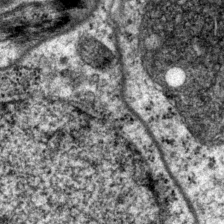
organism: P. pacificus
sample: Pharynx